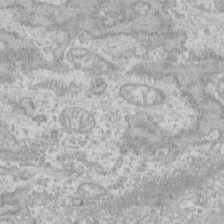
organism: Human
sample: CRL-1474